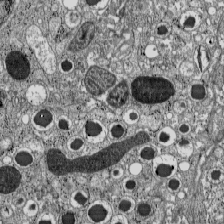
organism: C57BL Mouse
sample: Pancreatic islet